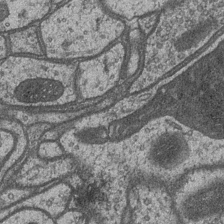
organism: Drosophila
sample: Optic medulla